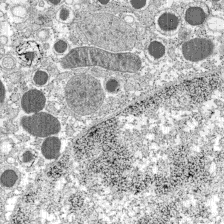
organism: C57BL Mouse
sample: Pancreatic islet